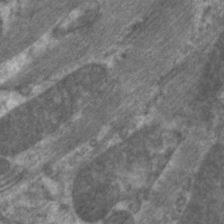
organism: C. elegans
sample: Pharynx